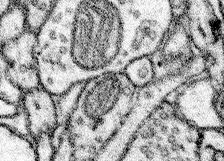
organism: Mouse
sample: Somatosensory cortex neuropil